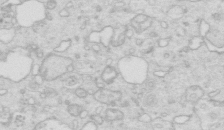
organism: Mouse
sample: Multiciliated cells